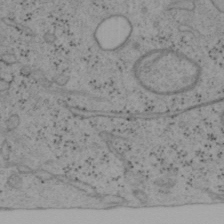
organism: Human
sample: HeLa cells